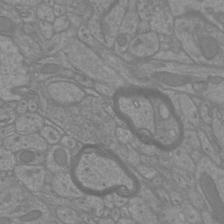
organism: Mouse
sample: Cortical neurons